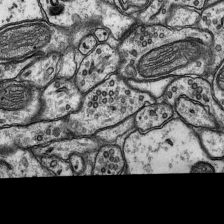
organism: Rat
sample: Hippocampus